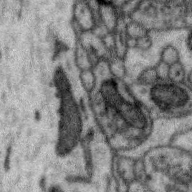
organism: Zebra finch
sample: Brain